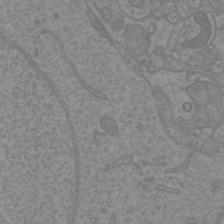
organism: Mouse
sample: Cortical neurons